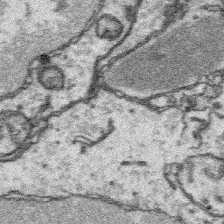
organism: Platynereis dumerilii